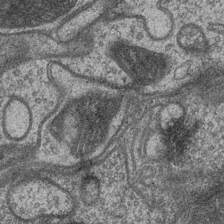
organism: Drosophila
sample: Optic medulla